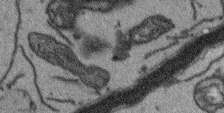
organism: Arabidopsis thaliana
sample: Root tip